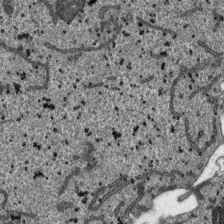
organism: Human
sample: Lung epithelial cells infected with SARS-CoV-2